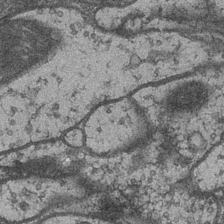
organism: Drosophila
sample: Optic medulla